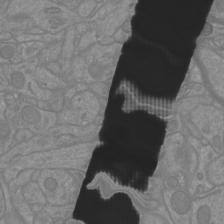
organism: Mouse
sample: Cortical neurons